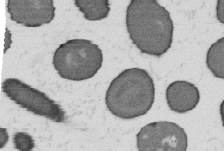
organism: B. subtilis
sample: Bacterial spore